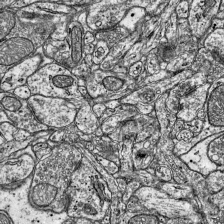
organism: Mouse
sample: Visual Cortex